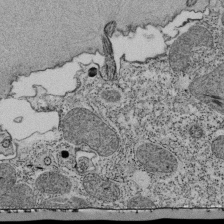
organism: Tetrahymena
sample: Cilia in tetrahymena